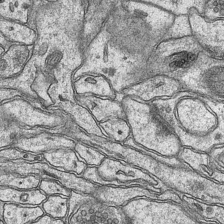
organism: Mouse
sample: CA1 Hippocampus